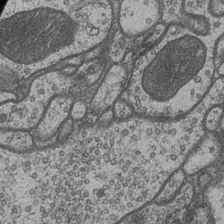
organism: Drosophila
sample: Optic medulla